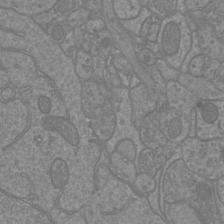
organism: Mouse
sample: Cortical neurons